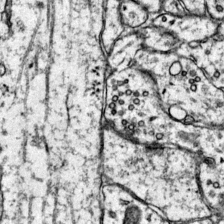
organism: Mouse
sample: Primary visual cortex